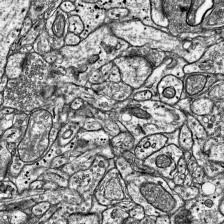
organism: Mouse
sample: Visual Cortex